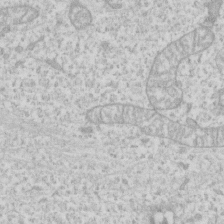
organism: Human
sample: Fibroblast cells